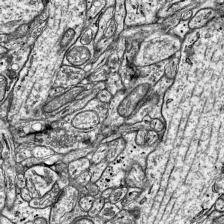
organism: Mouse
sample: Visual Cortex